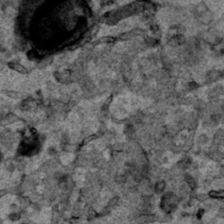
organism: Human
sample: Mitochondria in HCT116 cells